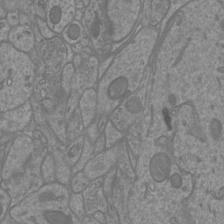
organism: Mouse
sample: Cortical neurons